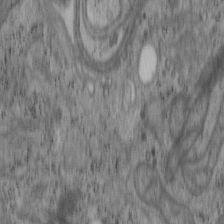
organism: Human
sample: HeLa cells